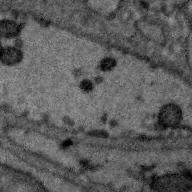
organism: Zebra finch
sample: Brain